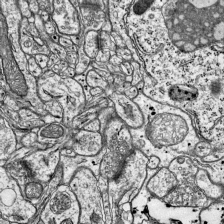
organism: Mouse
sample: Visual Cortex